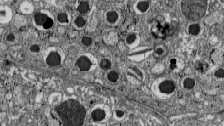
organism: C57BL Mouse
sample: Pancreatic islet